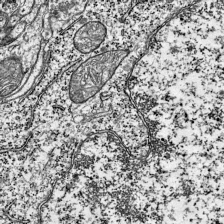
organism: Mouse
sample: Visual Cortex